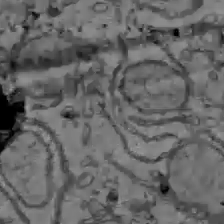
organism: C57BL Mouse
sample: Liver